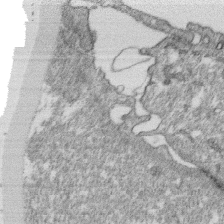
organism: African green monkey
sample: Vero E6 cells infected with SARS-CoV-2